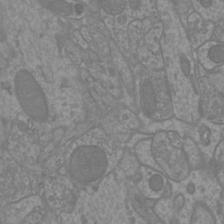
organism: Mouse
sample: Cortical neurons